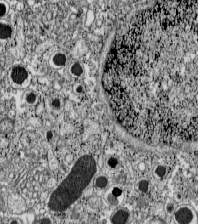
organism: C57BL Mouse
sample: Pancreatic islet